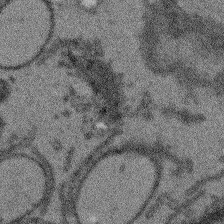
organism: Arabidopsis thaliana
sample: Root tip